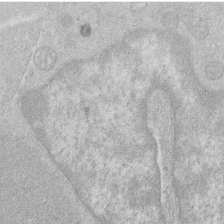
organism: Human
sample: Macrophage cells